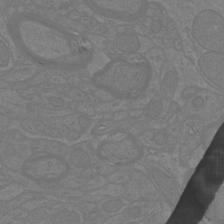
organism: Mouse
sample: Cortical neurons